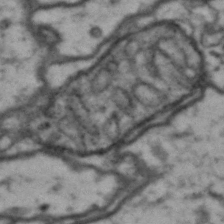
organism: Drosophila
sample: Brain